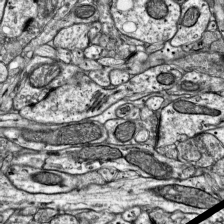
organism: Mouse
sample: Visual Cortex